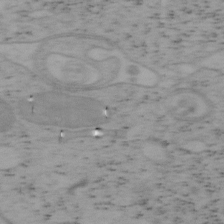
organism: Mouse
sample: OT-I killer T cells with ID8 ovarian cancer cells